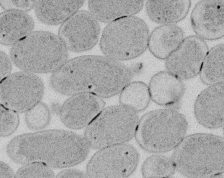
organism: E. coli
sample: Bacterial nucleoid